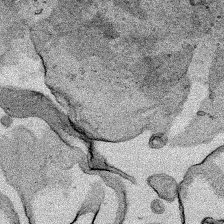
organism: Human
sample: Mitochondria in HCT116 cells